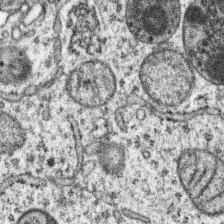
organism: Human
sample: HeLa cells